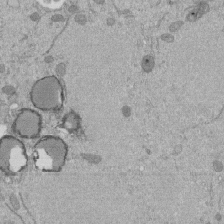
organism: Mouse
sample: ED-1 cell nuclei; centrioles